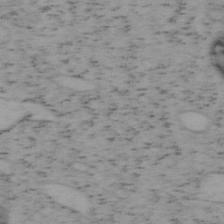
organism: Mouse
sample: OT-I killer T cells with ID8 ovarian cancer cells